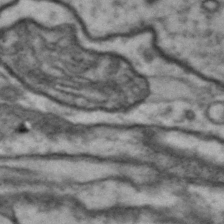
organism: Drosophila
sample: Brain